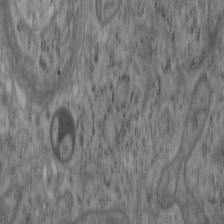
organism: Human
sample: HeLa cells